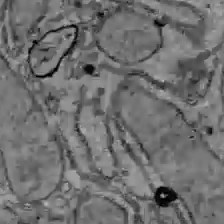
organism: C57BL Mouse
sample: Liver